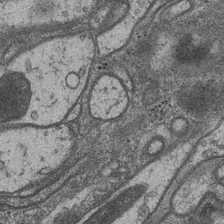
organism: Drosophila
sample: Optic medulla